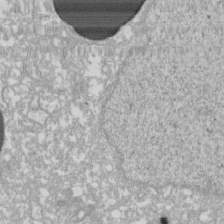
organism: Xenopus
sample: Cilia; centrioles in frog embryo cells